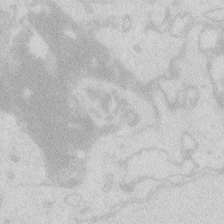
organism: Zebrafish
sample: Macrophage